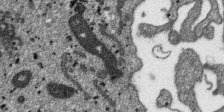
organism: Human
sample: Lung epithelial cells infected with SARS-CoV-2